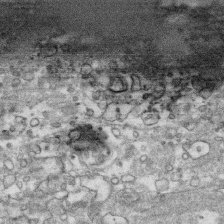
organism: Human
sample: CRL-1474